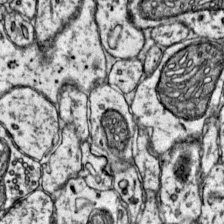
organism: Mouse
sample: Primary visual cortex